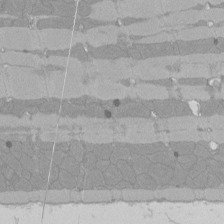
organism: Rat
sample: Left ventricle